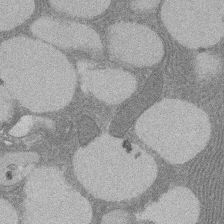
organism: Rat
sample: Salivary granule